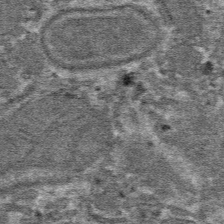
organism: Mouse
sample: Mouse hepatocytes